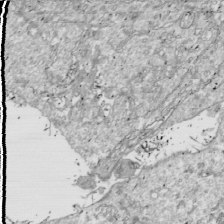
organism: Drosophila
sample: Cell division; meiosis; drosophila spermatocytes